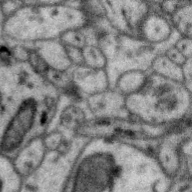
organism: Zebra finch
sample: Brain